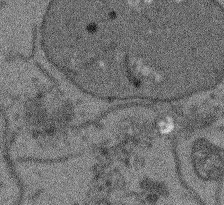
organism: Arabidopsis thaliana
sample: Root tip